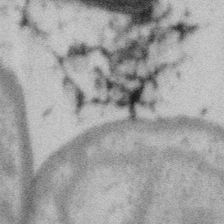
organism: Gemmata obscuriglobus